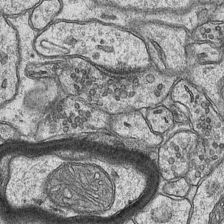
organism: Mouse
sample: CA1 Hippocampus